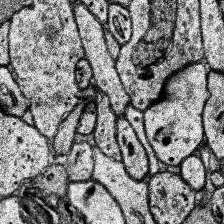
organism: Human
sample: Temporal Lobe